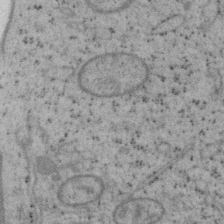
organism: Human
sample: HeLa cells